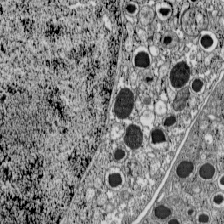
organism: C57BL Mouse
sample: Pancreatic islet